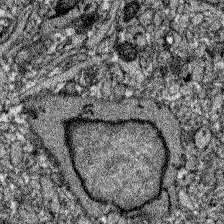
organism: Zebrafish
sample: Larval olfactory bulb